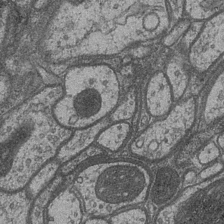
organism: Drosophila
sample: Optic medulla